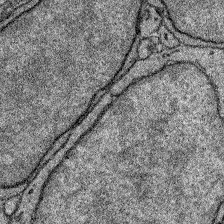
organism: Zebrafish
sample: Larval olfactory bulb